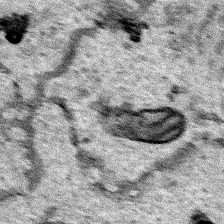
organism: Human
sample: Mitochondria in HCT116 cells